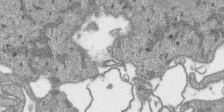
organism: Human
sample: Lung epithelial cells infected with SARS-CoV-2